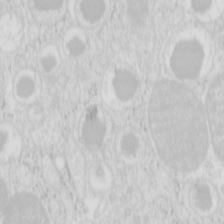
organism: Mouse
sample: Pancreas